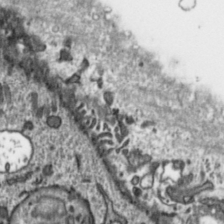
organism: Toxoplasma gondii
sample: Parasites in a vacuole inside a host cell